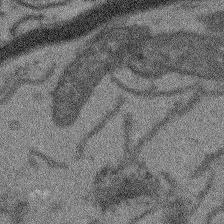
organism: Arabidopsis thaliana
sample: Root tip